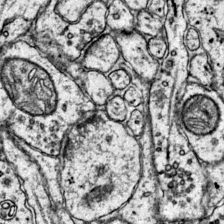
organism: Mouse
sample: Primary visual cortex